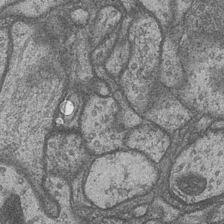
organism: Drosophila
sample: Optic medulla